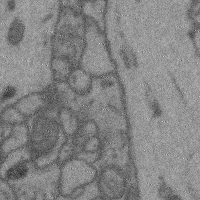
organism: Mouse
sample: Cerebral cortex